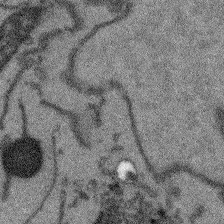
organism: Arabidopsis thaliana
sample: Root tip